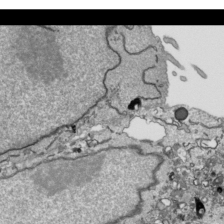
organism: Human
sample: Mitochondria in HCT116 cells